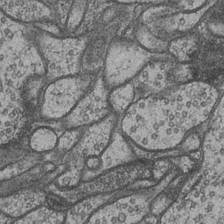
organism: Drosophila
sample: Optic medulla